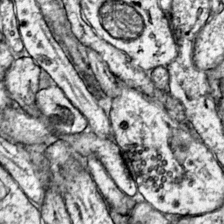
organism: Mouse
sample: Primary visual cortex